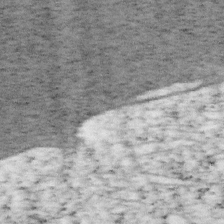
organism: Mouse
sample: OT-I killer T cells with ID8 ovarian cancer cells